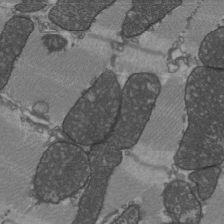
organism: C57BL Mouse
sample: Heart